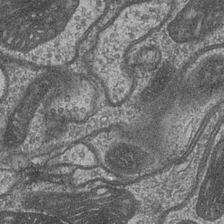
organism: Drosophila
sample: Optic medulla